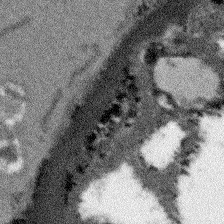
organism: Arabidopsis thaliana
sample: Root tip